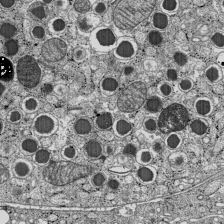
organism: C57BL Mouse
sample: Pancreatic islet